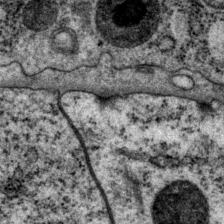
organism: P. pacificus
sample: Pharynx